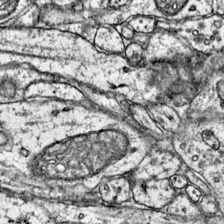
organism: Mouse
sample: Primary visual cortex